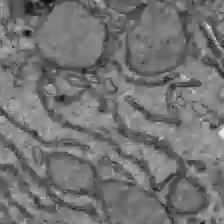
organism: C57BL Mouse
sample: Liver